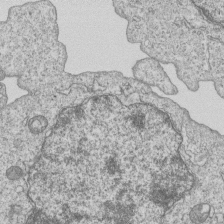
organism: Human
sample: MDA-MB-231 cells